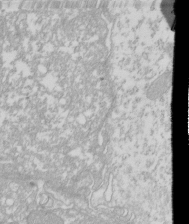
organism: Xenopus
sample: Cilia; centrioles in frog embryo cells